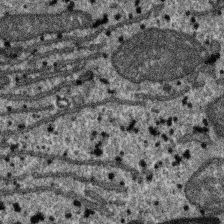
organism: Human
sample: Lung epithelial cells infected with SARS-CoV-2